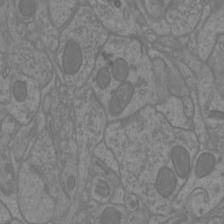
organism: Mouse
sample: Cortical neurons